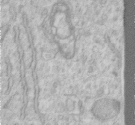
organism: Human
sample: Centriole in RPE cells